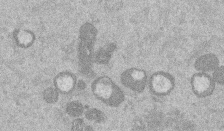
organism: Mouse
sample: Dividing mouse embryo 1 cell stage